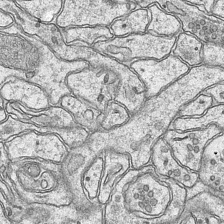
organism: Mouse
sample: CA1 Hippocampus